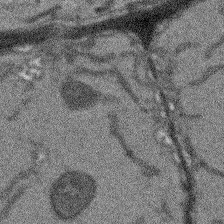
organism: Arabidopsis thaliana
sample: Root tip